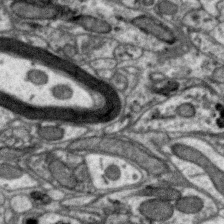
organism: Zebra finch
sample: Brain